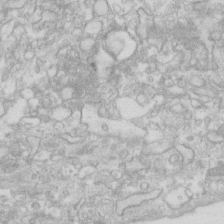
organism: Human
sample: Fibroblast cells